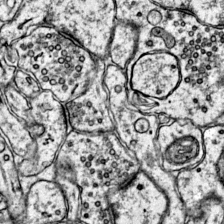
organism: Mouse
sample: Primary visual cortex